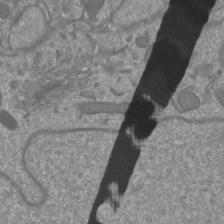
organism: Mouse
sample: Cortical neurons